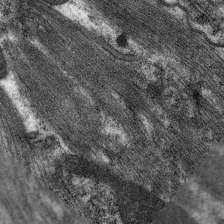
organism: C. elegans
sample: Pharynx